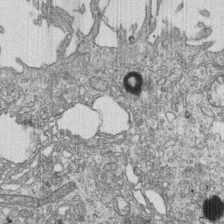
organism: Human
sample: HeLa cell HIV synapse